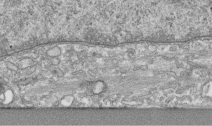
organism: Human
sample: Centriole in RPE cells